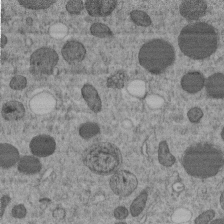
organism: C. elegans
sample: C. elegans embryo early stage